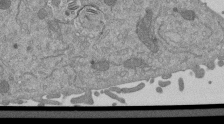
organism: Mouse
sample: ED-1 cell nuclei; centrioles